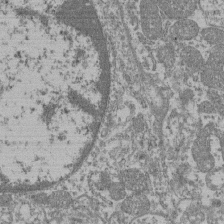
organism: Mouse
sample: Glomerulus